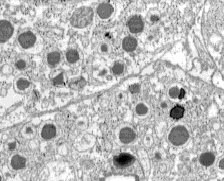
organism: C57BL Mouse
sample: Pancreatic islet